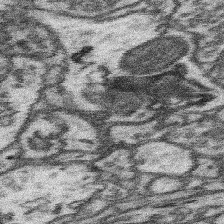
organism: Mouse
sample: Somatosensory cortex neuropil